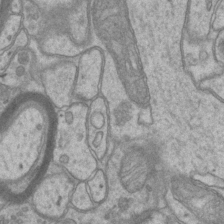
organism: Mouse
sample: CA1 Hippocampus